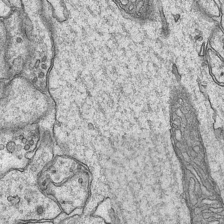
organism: Mouse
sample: CA1 Hippocampus